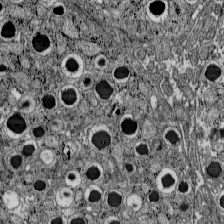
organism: C57BL Mouse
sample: Pancreatic islet